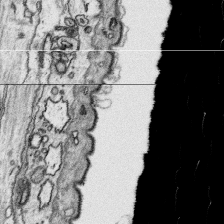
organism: Platynereis dumerilii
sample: Parapodia